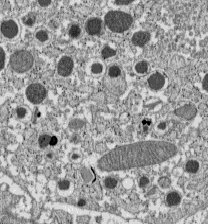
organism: C57BL Mouse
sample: Pancreatic islet